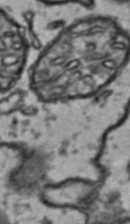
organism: Drosophila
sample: Brain